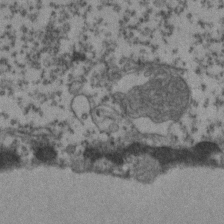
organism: Zebrafish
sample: Zebrafish embryo